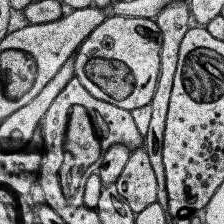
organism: Human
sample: Temporal Lobe